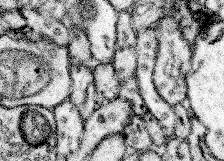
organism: Mouse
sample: Somatosensory cortex neuropil